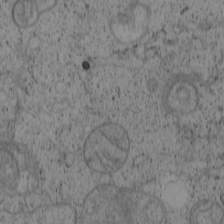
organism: African green monkey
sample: COS-7 cells